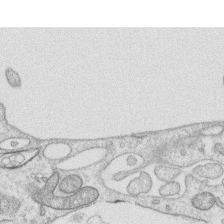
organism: Human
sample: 1205lu cells